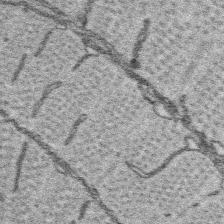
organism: Platynereis dumerilii